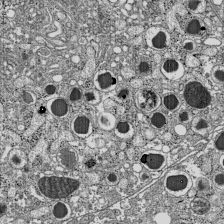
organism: C57BL Mouse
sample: Pancreatic islet